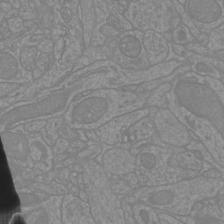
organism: Mouse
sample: Cortical neurons